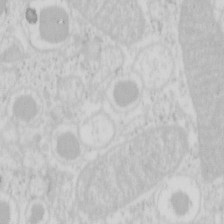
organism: Mouse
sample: Pancreas